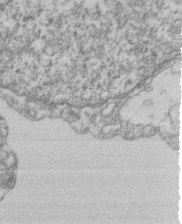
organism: Mouse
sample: T cell stromal cell synapse